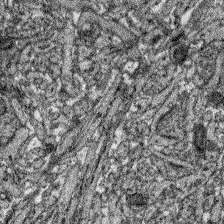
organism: Zebrafish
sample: Larval olfactory bulb